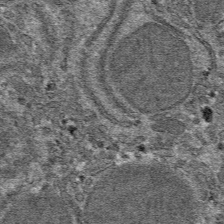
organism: Mouse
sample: Mouse hepatocytes